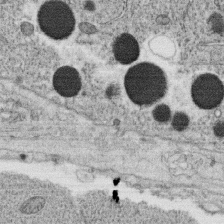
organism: C. elegans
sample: C. elegans oocyte; sperm cells